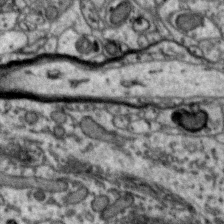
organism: Zebra finch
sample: Brain